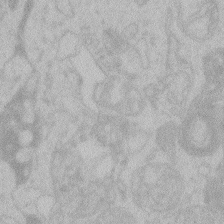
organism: Zebrafish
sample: Macrophage infected with Toxoplasma gondii